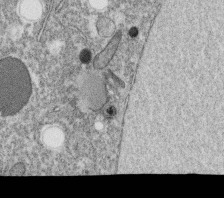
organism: C. elegans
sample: C. elegans oocyte; sperm cells